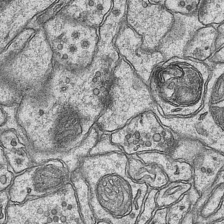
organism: Mouse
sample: CA1 Hippocampus